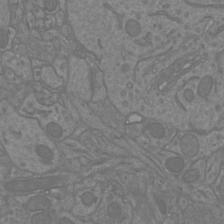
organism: Mouse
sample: Cortical neurons